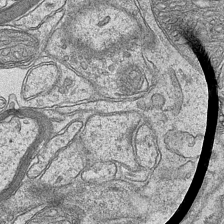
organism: Mouse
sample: CA1 Hippocampus